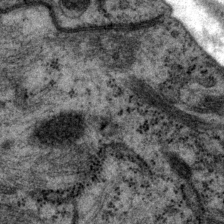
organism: P. pacificus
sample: Pharynx